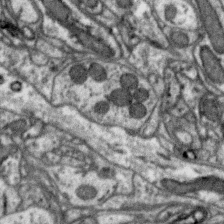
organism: Zebra finch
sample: Brain